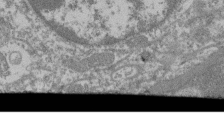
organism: Mouse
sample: Glomerulus